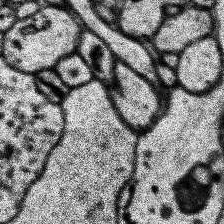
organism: Human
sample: Temporal Lobe